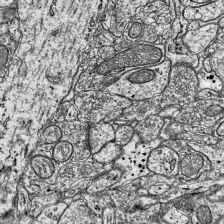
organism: Mouse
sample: Visual Cortex